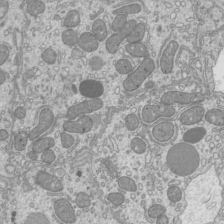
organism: Mouse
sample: Cilia; mouse epididymis